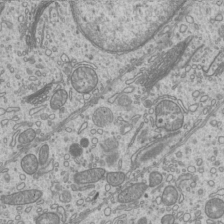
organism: Mouse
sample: Cilia; mouse epididymis